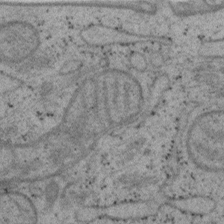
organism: Human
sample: HeLa cells